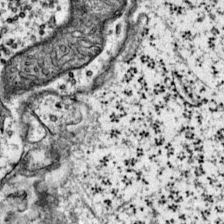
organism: Mouse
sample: Primary visual cortex